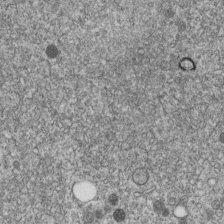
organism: C. elegans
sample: C. elegans embryo early stage